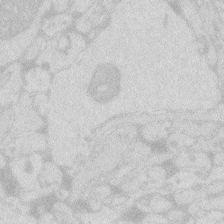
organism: Zebrafish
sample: Macrophage